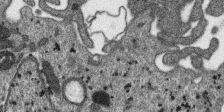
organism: Human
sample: Lung epithelial cells infected with SARS-CoV-2